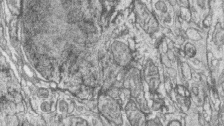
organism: Zebrafish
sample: synaptic ribbons in rod cells and cone cells